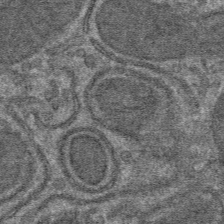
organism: Mouse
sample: Mouse hepatocytes